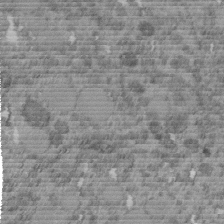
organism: C. elegans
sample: C. elegans embryo early stage